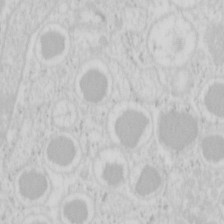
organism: Mouse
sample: Pancreas